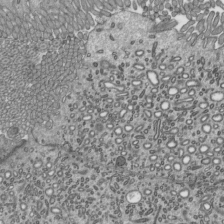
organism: Mouse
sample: Mouse epididymis efferent ductule cilia